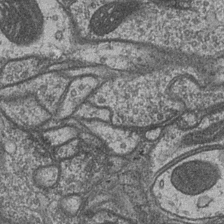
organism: Drosophila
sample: Optic medulla